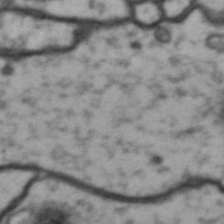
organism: Drosophila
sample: Brain